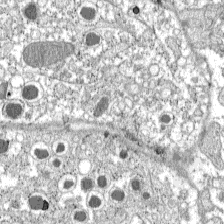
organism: C57BL Mouse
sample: Pancreatic islet